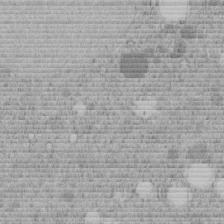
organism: C. elegans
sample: C. elegans embryo early stage